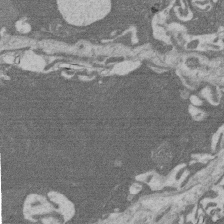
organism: Rat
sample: Salivary granule